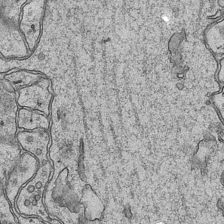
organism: Mouse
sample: CA1 Hippocampus